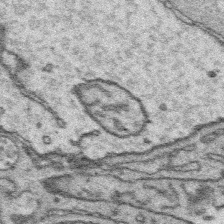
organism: Platynereis dumerilii